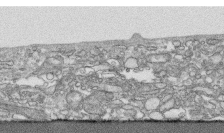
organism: Human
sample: CRL-1474